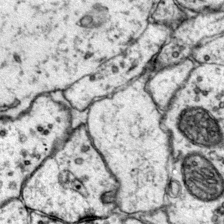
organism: Mouse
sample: Primary visual cortex